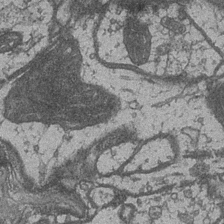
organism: Drosophila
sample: Optic medulla